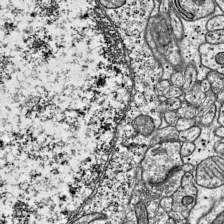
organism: Mouse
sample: Visual Cortex